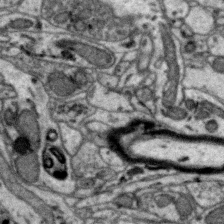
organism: Zebra finch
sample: Brain